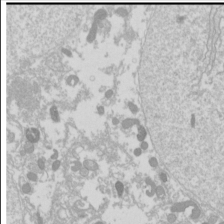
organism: Drosophila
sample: Cell division; meiosis; drosophila spermatocytes